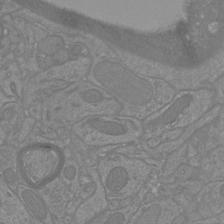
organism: Mouse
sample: Cortical neurons